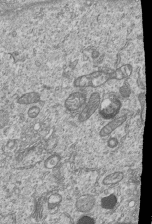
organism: Human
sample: MDA-MB-231 cells